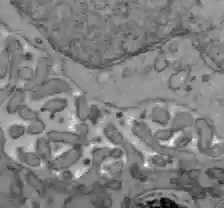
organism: C57BL Mouse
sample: Liver